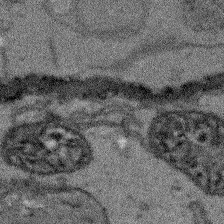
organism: Arabidopsis thaliana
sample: Root tip